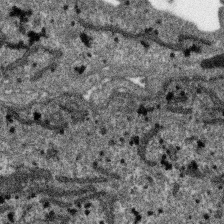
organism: Human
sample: Lung epithelial cells infected with SARS-CoV-2